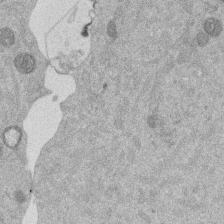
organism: Mouse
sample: Dividing mouse embryo 1 cell stage